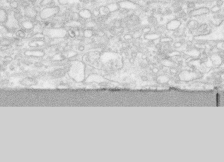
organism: Human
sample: CRL-1474